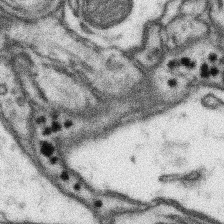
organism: Mouse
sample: Somatosensory cortex neuropil